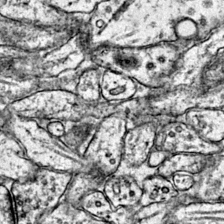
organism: Mouse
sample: Primary visual cortex